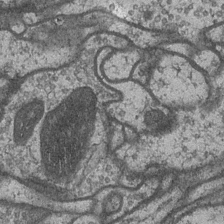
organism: Drosophila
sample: Optic medulla